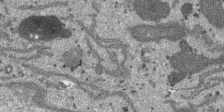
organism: Human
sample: Lung epithelial cells infected with SARS-CoV-2